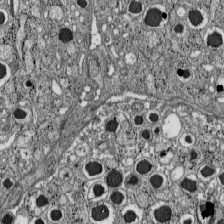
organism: C57BL Mouse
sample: Pancreatic islet